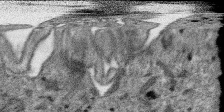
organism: Human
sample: Lung epithelial cells infected with SARS-CoV-2